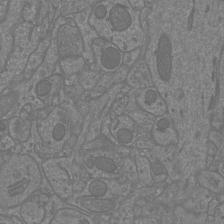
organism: Mouse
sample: Cortical neurons